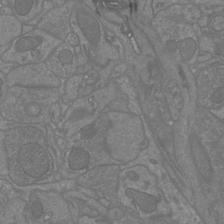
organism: Mouse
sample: Cortical neurons